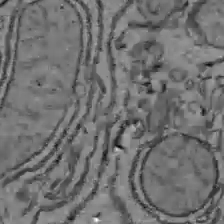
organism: C57BL Mouse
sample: Liver